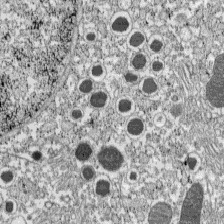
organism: C57BL Mouse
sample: Pancreatic islet